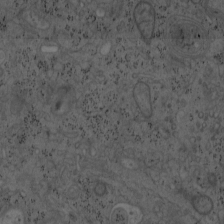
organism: Mouse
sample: OT-I killer T cells with ID8 ovarian cancer cells